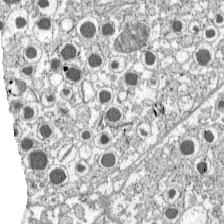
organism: C57BL Mouse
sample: Pancreatic islet